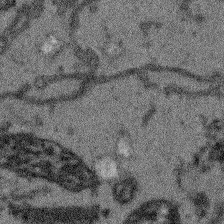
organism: Arabidopsis thaliana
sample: Root tip